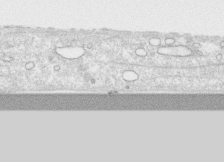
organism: Human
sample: CRL-1474